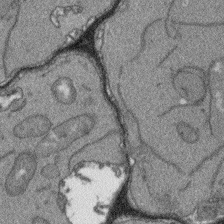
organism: Arabidopsis thaliana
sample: Root tip